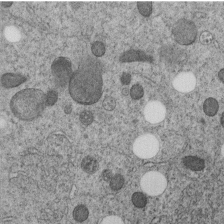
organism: C. elegans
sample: C. elegans embryo early stage